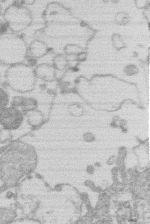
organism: Human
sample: Macrophage cells